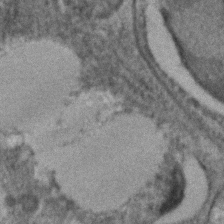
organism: C. elegans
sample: C. elegans embryo